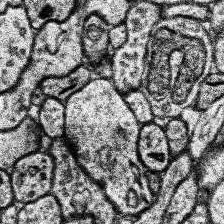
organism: Human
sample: Temporal Lobe